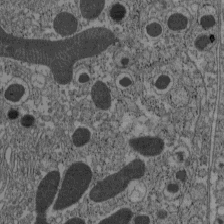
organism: C57BL Mouse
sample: Pancreatic islet